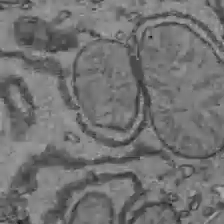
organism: C57BL Mouse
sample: Liver